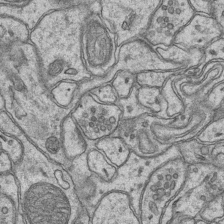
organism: Mouse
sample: CA1 Hippocampus